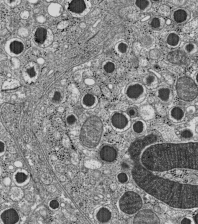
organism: C57BL Mouse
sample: Pancreatic islet